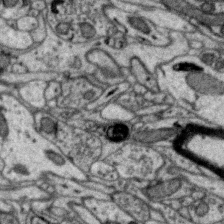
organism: Zebra finch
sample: Brain